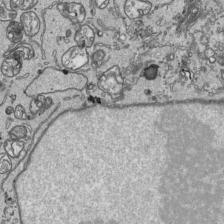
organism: Human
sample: Mitochondria in HCT116 cells